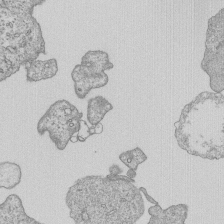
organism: Human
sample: MDA-MB-231 cells